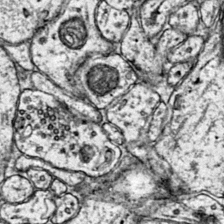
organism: Mouse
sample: Primary visual cortex